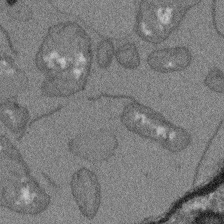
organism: Arabidopsis thaliana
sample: Root tip